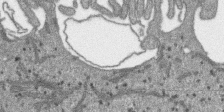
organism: Human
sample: Lung epithelial cells infected with SARS-CoV-2